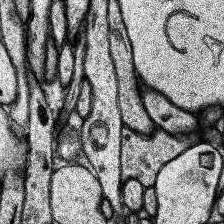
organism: Human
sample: Temporal Lobe